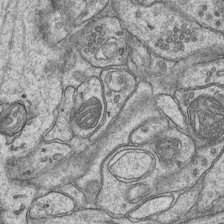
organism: Mouse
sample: CA1 Hippocampus